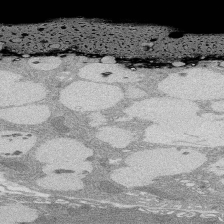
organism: Rat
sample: Salivary granule